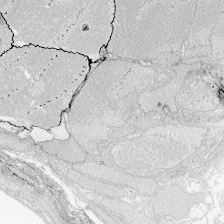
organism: Zebrafish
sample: Whole-Brain